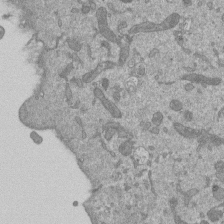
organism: Mouse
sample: ED-1 cell nuclei; centrioles